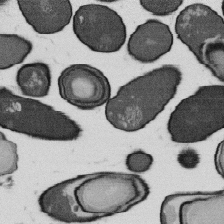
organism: B. subtilis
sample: Bacterial spore